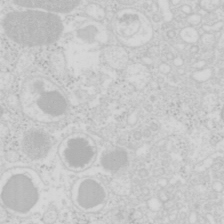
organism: Mouse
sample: Pancreas